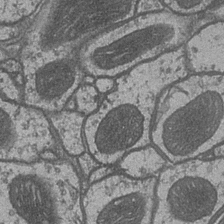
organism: Drosophila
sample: Optic medulla